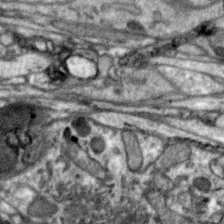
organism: Zebra finch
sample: Brain